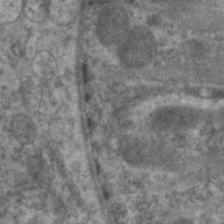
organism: C. elegans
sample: Pharynx